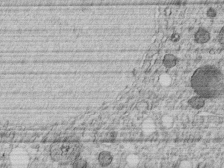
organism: C. elegans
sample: C. elegans embryo early stage